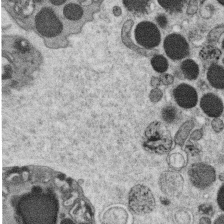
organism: C. elegans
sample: C. elegans oocyte; sperm cells